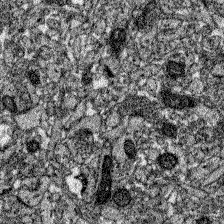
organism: Zebrafish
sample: Larval olfactory bulb